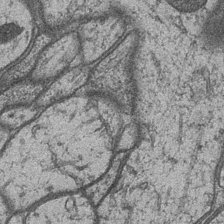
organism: Drosophila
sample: Optic medulla